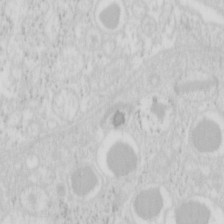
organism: Mouse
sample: Pancreas